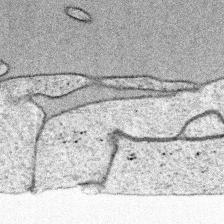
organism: Human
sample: HeLa cells